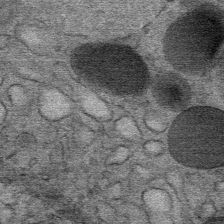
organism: Mouse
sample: Mouse Salivary gland